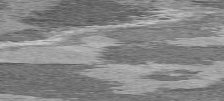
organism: C57BL Mouse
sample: Heart